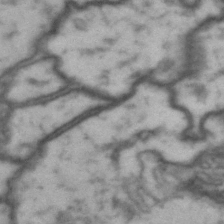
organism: Drosophila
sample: Brain